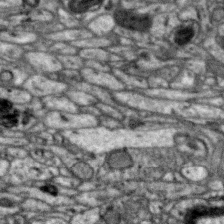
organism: Zebra finch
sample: Brain